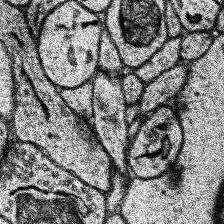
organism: Human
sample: Temporal Lobe